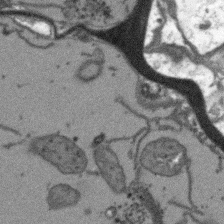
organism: Arabidopsis thaliana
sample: Root tip